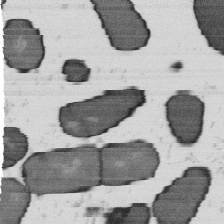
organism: B. subtilis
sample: Bacterial spore